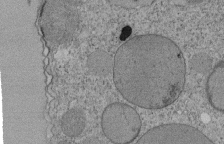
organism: Tetrahymena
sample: Cilia in tetrahymena